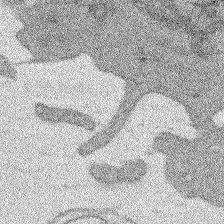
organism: Human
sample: HeLa cells